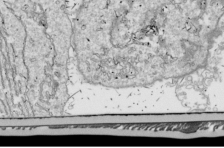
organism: Drosophila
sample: Cell division; meiosis; drosophila spermatocytes